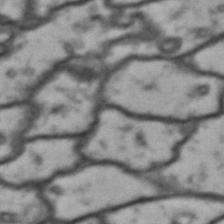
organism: Drosophila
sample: Brain